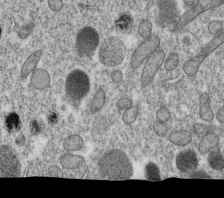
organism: C. elegans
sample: C. elegans oocyte; sperm cells